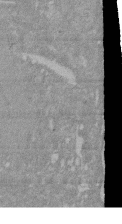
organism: Mouse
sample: ED-1 cell nuclei; centrioles